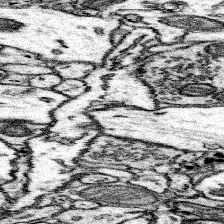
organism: Mouse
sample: Somatosensory cortex neuropil